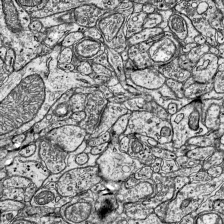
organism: Mouse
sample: Visual Cortex